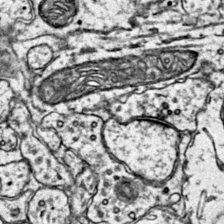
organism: Mouse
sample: Primary visual cortex